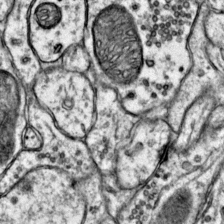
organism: Mouse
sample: Primary visual cortex